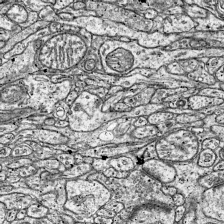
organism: Mouse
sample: Visual Cortex